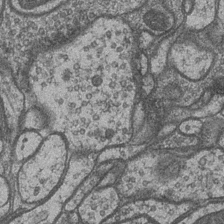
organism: Drosophila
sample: Optic medulla